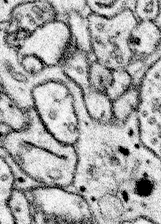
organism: Mouse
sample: Somatosensory cortex neuropil